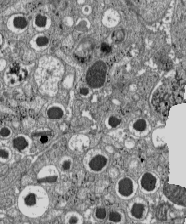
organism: C57BL Mouse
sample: Pancreatic islet